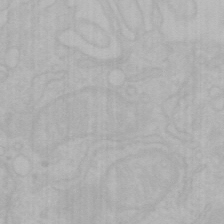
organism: Mouse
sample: Choroid plexus